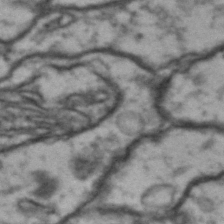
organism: Drosophila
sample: Brain